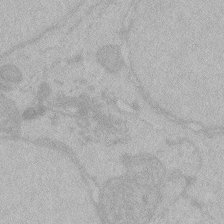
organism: Zebrafish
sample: Macrophage infected with Toxoplasma gondii